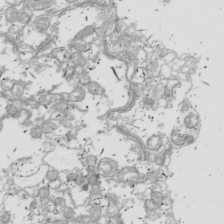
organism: Drosophila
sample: Cell division; meiosis; drosophila spermatocytes